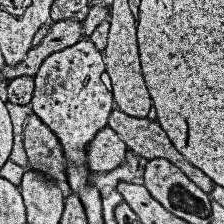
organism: Human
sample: Temporal Lobe